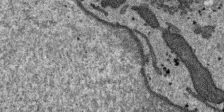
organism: Human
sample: Lung epithelial cells, uninfected (mock) control